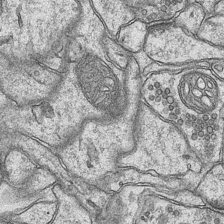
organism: Mouse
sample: CA1 Hippocampus